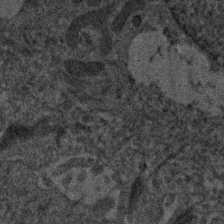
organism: Human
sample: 1205lu cells